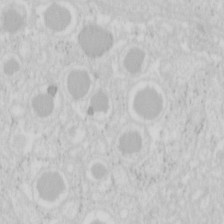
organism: Mouse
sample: Pancreas